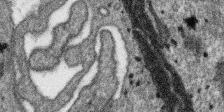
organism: Human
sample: Lung epithelial cells infected with SARS-CoV-2